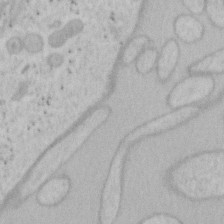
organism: Human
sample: HeLa cells